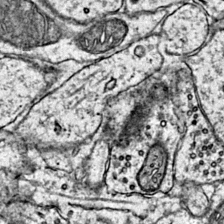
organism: Mouse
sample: Primary visual cortex